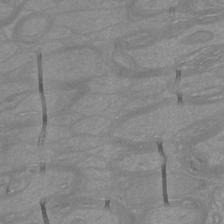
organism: Mouse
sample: Cortical neurons